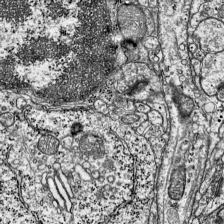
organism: Mouse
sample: Visual Cortex